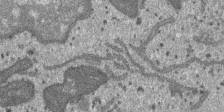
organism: Human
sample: Lung epithelial cells infected with SARS-CoV-2